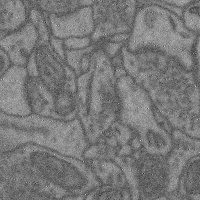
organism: Mouse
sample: Cerebral cortex